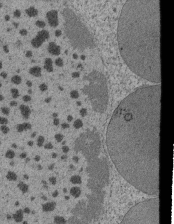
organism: Tetrahymena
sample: Cilia in tetrahymena